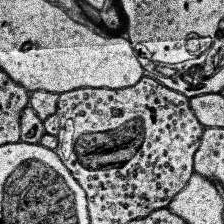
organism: Human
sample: Temporal Lobe